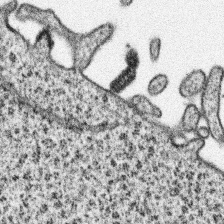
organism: Human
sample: HeLa cells